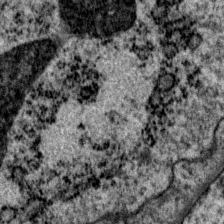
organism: P. pacificus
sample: Pharynx